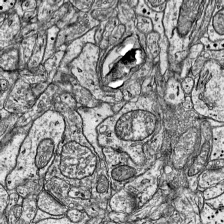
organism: Mouse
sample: Visual Cortex